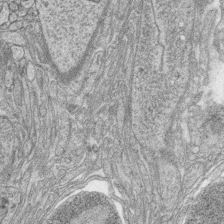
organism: Zebrafish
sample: synaptic ribbons in rod cells and cone cells